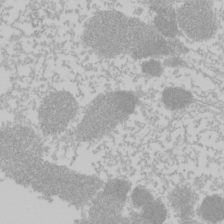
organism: Mouse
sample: Cancer cell death in ED-1 cells